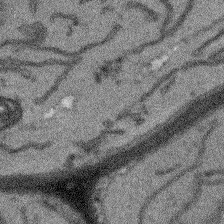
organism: Arabidopsis thaliana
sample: Root tip